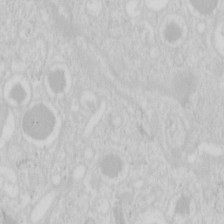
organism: Mouse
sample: Pancreas